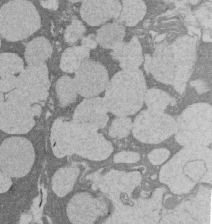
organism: Rat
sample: Salivary granule